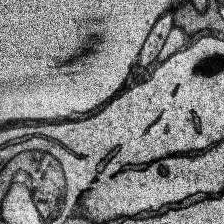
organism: Human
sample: Temporal Lobe